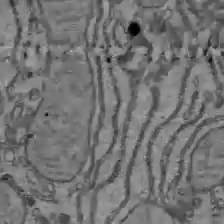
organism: C57BL Mouse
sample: Liver